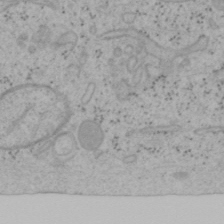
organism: Human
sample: HeLa cells